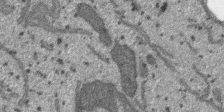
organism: Human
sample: Lung epithelial cells infected with SARS-CoV-2